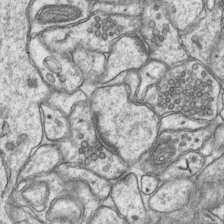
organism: Mouse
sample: CA1 Hippocampus